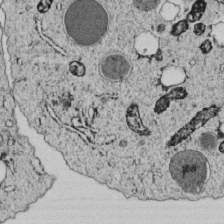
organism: C. elegans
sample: C. elegans embryo early stage